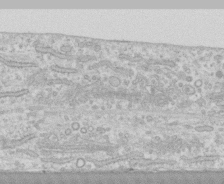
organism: Human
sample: CRL-1474